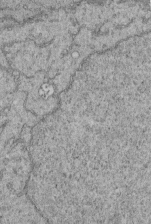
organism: Human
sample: Retinal organoid Rod and Cone cells